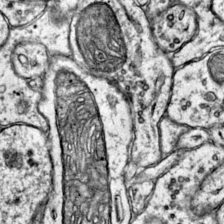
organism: Mouse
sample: Primary visual cortex